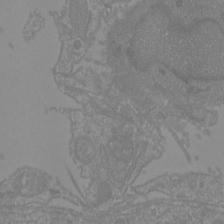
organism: Mouse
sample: Cortical neurons